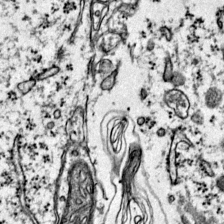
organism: Mouse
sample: Primary visual cortex